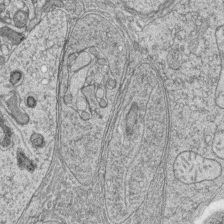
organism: Zebrafish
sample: synaptic ribbons in rod cells and cone cells